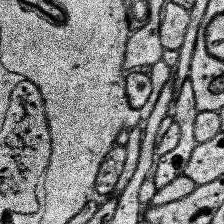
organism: Human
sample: Temporal Lobe